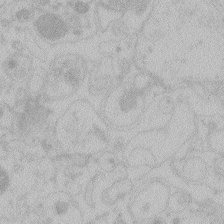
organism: Zebrafish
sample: Macrophage infected with Toxoplasma gondii